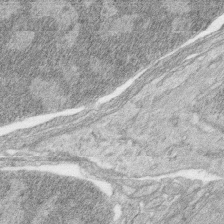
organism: Zebrafish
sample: synaptic ribbons in rod cells and cone cells